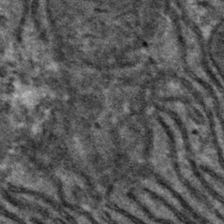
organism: Mouse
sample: Mouse hepatocytes